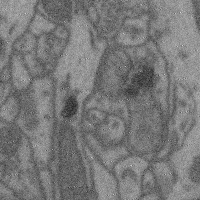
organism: Mouse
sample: Cerebral cortex